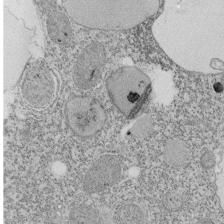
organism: Tetrahymena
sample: Cilia in tetrahymena